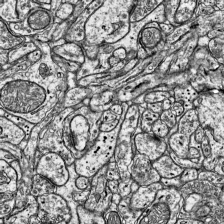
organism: Mouse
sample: Visual Cortex